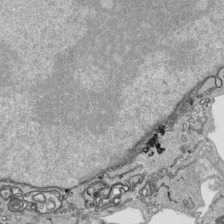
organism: Human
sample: Mitochondria in HCT116 cells